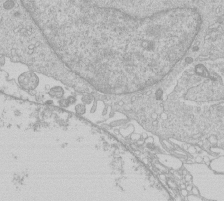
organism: Human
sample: Macrophage cells